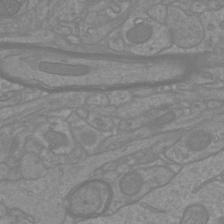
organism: Mouse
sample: Cortical neurons